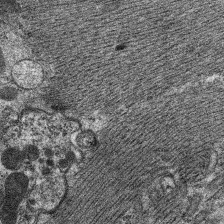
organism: C. elegans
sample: Pharynx